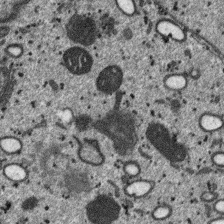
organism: Human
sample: Lung epithelial cells infected with SARS-CoV-2